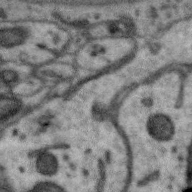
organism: Zebra finch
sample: Brain